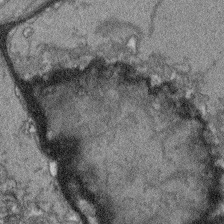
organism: Arabidopsis thaliana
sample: Root tip